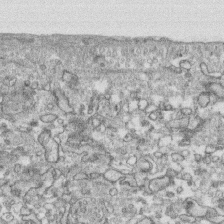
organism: Human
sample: CRL-1474